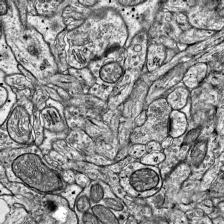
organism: Mouse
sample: Visual Cortex